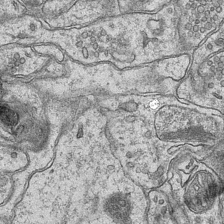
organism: Mouse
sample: CA1 Hippocampus